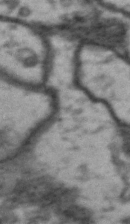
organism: Drosophila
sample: Brain